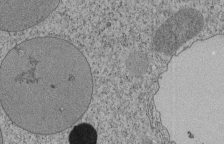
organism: Tetrahymena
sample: Cilia in tetrahymena